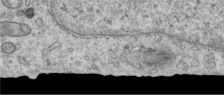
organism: Human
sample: Centriole in RPE cells